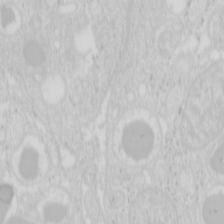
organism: Mouse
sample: Pancreas